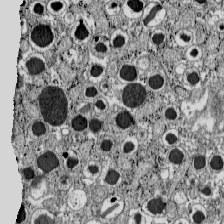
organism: C57BL Mouse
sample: Pancreatic islet